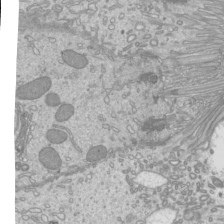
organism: Mouse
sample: Cilia; mouse epididymis